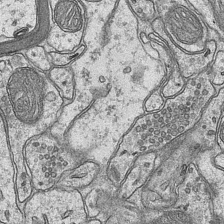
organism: Mouse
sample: CA1 Hippocampus